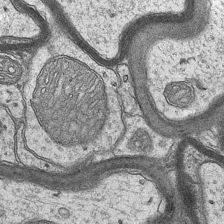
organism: Mouse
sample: CA1 Hippocampus